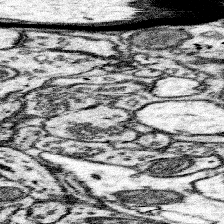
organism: Mouse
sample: Somatosensory cortex neuropil